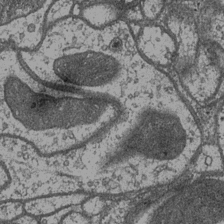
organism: Drosophila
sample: Optic medulla